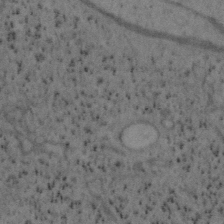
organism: Human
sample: HeLa cells